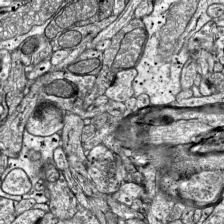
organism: Mouse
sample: Visual Cortex